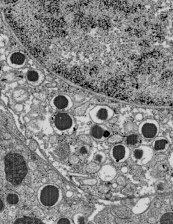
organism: C57BL Mouse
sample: Pancreatic islet